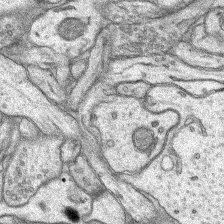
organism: Rat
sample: Hippocampus